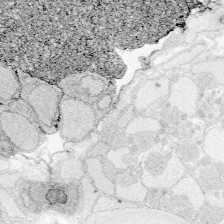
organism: Zebrafish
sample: Whole-Brain